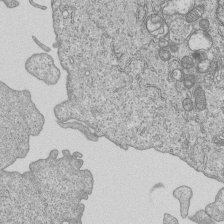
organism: Human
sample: MDA-MB-231 cells